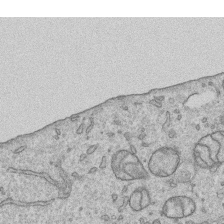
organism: Human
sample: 1205lu cells